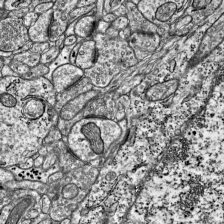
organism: Mouse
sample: Visual Cortex